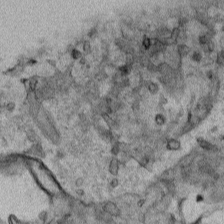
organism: Human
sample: Mitochondria in HCT116 cells